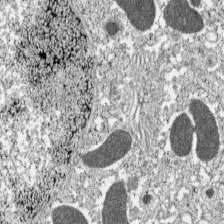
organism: C57BL Mouse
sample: Pancreatic islet